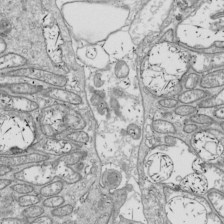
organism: Drosophila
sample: Cell division; meiosis; drosophila spermatocytes